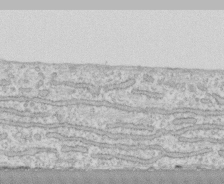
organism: Human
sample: CRL-1474